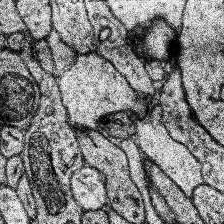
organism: Human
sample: Temporal Lobe